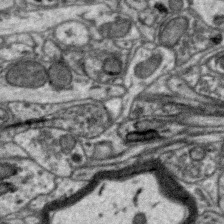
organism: Zebra finch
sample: Brain